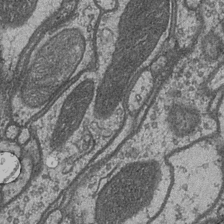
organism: Drosophila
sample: Optic medulla